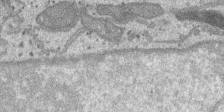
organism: Human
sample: Lung epithelial cells infected with SARS-CoV-2